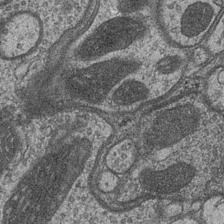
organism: Drosophila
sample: Optic medulla